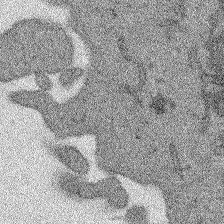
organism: Human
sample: HeLa cells